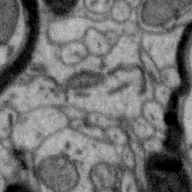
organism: Zebra finch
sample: Brain